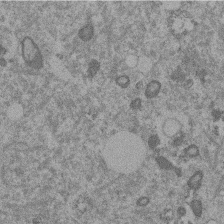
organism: Mouse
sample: Dividing mouse embryo 1 cell stage